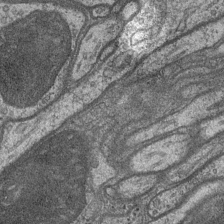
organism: Drosophila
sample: Optic medulla